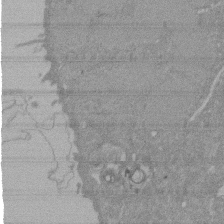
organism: Mouse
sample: ED-1 cell nuclei; centrioles